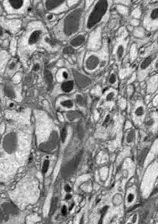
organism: Drosophila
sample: Optic lobe